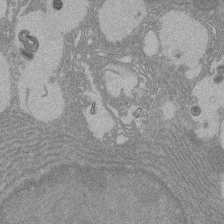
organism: Rat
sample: Salivary granule